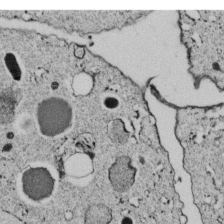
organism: C. elegans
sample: C. elegans embryo early stage